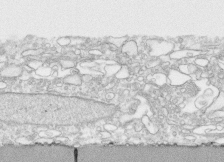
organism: Human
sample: CRL-1474